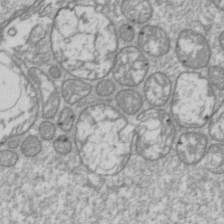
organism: Drosophila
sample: Cell division; meiosis; drosophila spermatocytes